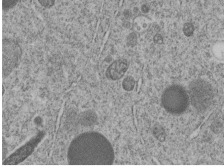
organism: C. elegans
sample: C. elegans embryo early stage